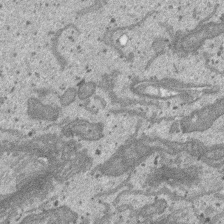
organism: Human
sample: Lung epithelial cells infected with SARS-CoV-2